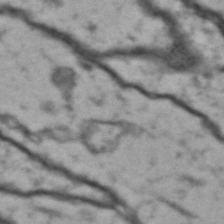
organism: Drosophila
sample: Brain